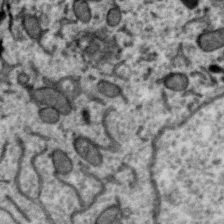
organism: Zebra finch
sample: Brain